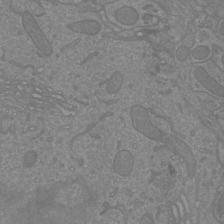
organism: Mouse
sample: Cortical neurons